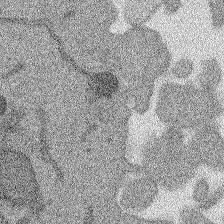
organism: Human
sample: HeLa cells